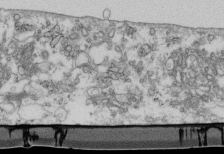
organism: Mouse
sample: Cilia; retinal pigment epithelium